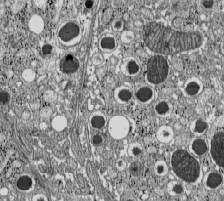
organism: C57BL Mouse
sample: Pancreatic islet